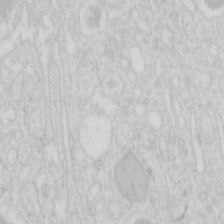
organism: Mouse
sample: Pancreas